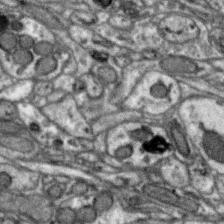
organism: Zebra finch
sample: Brain